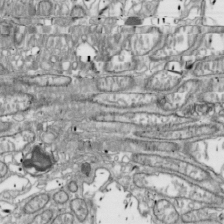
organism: Drosophila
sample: Cell division; meiosis; drosophila spermatocytes